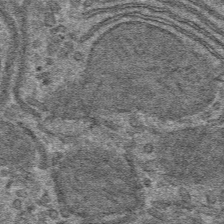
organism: Mouse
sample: Mouse hepatocytes